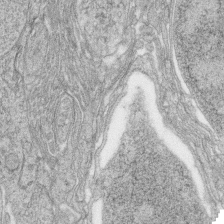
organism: Zebrafish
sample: synaptic ribbons in rod cells and cone cells